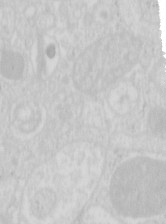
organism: Mouse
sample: Pancreas